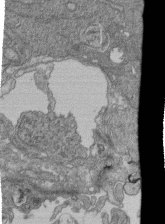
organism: Human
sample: Retinal organoid Rod and Cone cells